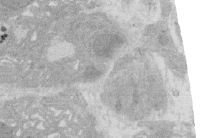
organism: Rat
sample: Salivary granule